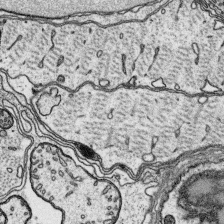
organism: Platynereis dumerilii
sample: Parapodia